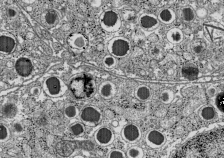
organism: C57BL Mouse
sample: Pancreatic islet